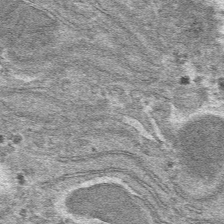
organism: Mouse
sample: Mouse hepatocytes